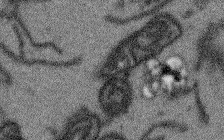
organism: Arabidopsis thaliana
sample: Root tip